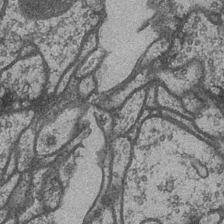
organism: Drosophila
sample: Optic medulla